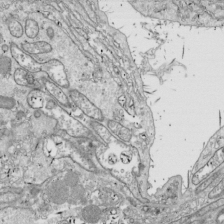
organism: Drosophila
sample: Cell division; meiosis; drosophila spermatocytes